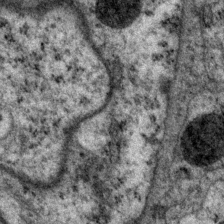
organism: P. pacificus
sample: Pharynx